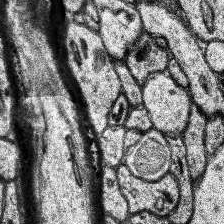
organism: Human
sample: Temporal Lobe